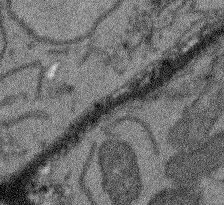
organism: Arabidopsis thaliana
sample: Root tip